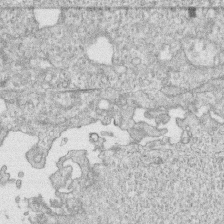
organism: Human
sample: HeLa cell HIV synapse